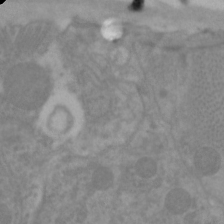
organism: C. elegans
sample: Pharynx